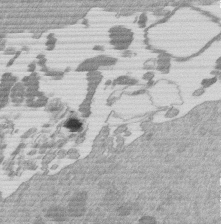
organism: Mouse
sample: Dividing mouse embryo 1 cell stage